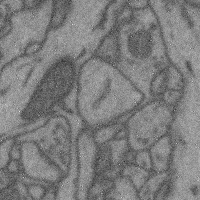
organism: Mouse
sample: Cerebral cortex